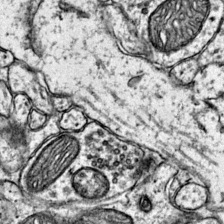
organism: Mouse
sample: Primary visual cortex